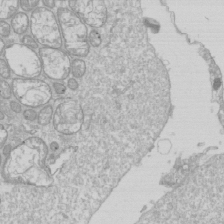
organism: Drosophila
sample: Cell division; meiosis; drosophila spermatocytes